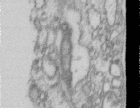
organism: Human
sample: Centriole in RPE cells